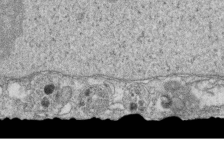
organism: Human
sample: HeLa cell HIV synapse